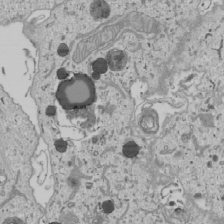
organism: Human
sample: Mitochondria in U2OS cells